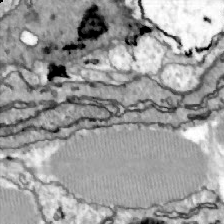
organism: Zebrafish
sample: Actinotrichia fibers